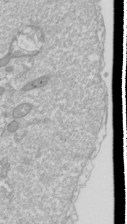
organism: Drosophila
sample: Cell division; meiosis; drosophila spermatocytes